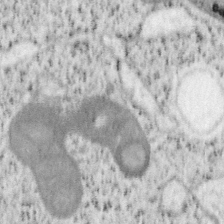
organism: Mouse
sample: OT-I killer T cells with ID8 ovarian cancer cells